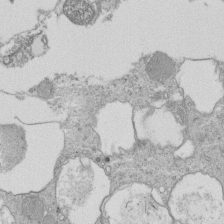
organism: Tetrahymena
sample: Cilia in tetrahymena